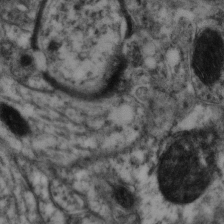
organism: Mouse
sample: Neocortex